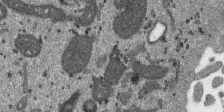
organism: Human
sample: Lung epithelial cells infected with SARS-CoV-2